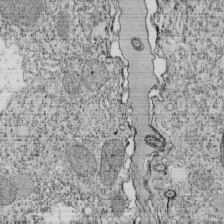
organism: Tetrahymena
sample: Cilia in tetrahymena